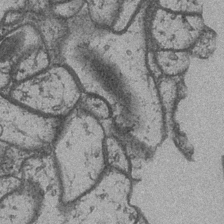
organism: Drosophila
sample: Optic medulla